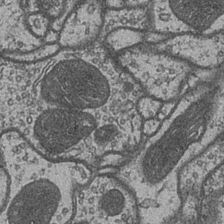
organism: Drosophila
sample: Optic medulla